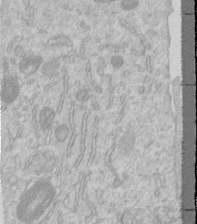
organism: Human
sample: Centriole in RPE cells